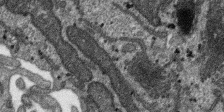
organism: Human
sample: Lung epithelial cells infected with SARS-CoV-2